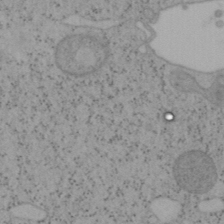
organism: Mouse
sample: OT-I killer T cells with ID8 ovarian cancer cells